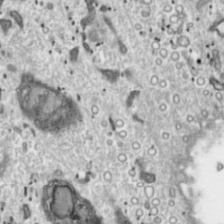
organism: Toxoplasma gondii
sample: Parasites in a vacuole inside a host cell